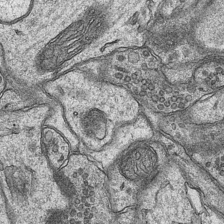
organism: Mouse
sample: CA1 Hippocampus